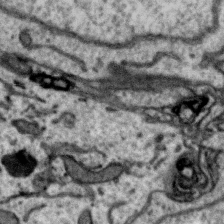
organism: Zebra finch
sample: Brain